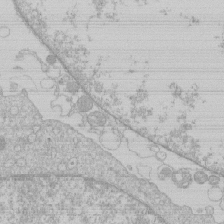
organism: Human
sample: Macrophage cells